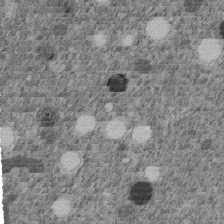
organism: C. elegans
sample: C. elegans embryo early stage